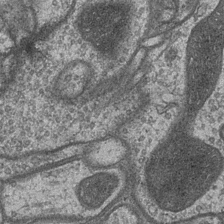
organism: Drosophila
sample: Optic medulla